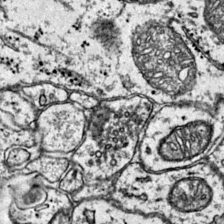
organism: Mouse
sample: Primary visual cortex